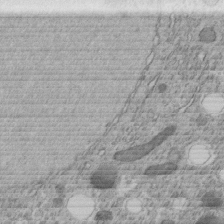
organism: C. elegans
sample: C. elegans embryo early stage